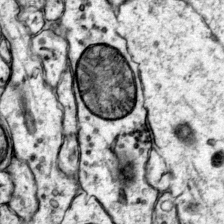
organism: Mouse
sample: Primary visual cortex